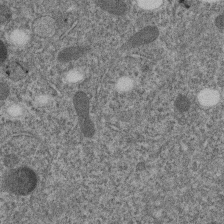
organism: C. elegans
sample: C. elegans embryo early stage